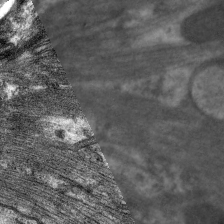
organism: C. elegans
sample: Pharynx